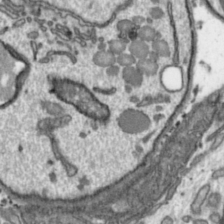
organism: Toxoplasma gondii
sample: Parasites in a vacuole inside a host cell